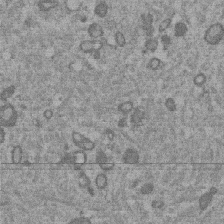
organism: Mouse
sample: Dividing mouse embryo 1 cell stage